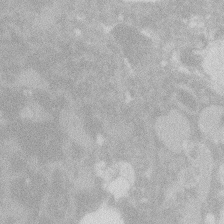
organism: Zebrafish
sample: Macrophage